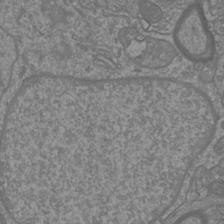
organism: Mouse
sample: Cortical neurons